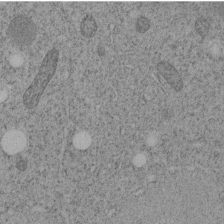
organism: C. elegans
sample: C. elegans embryo early stage